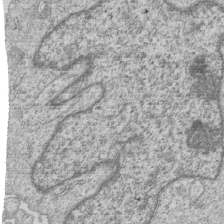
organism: Human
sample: MDA-MB-231 cells